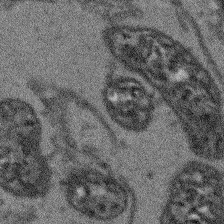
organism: Arabidopsis thaliana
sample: Root tip